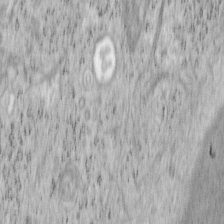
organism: Human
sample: HeLa cells